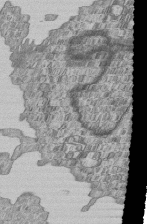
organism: Human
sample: MDA-MB-231 cells